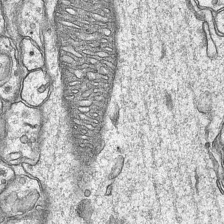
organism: Mouse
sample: CA1 Hippocampus